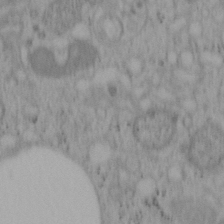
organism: Mouse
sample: OT-I killer T cells with ID8 ovarian cancer cells